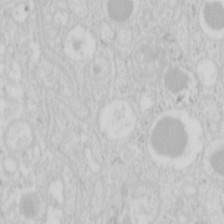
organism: Mouse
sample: Pancreas